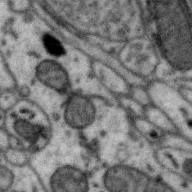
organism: Zebra finch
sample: Brain